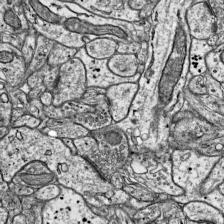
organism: Mouse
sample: Visual Cortex